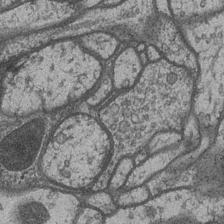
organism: Drosophila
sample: Optic medulla